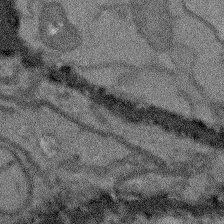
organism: Arabidopsis thaliana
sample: Root tip